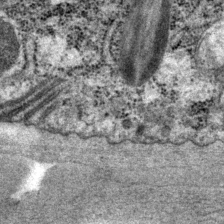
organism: P. pacificus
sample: Pharynx